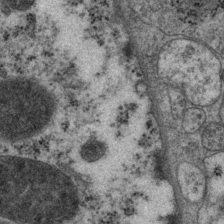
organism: P. pacificus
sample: Pharynx